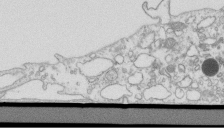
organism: Mouse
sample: Macrophages